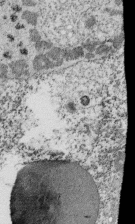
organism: Tetrahymena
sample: Cilia in tetrahymena